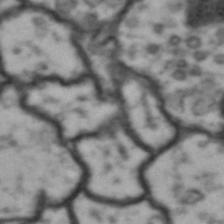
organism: Drosophila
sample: Brain